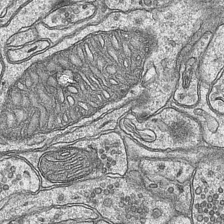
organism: Mouse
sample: CA1 Hippocampus